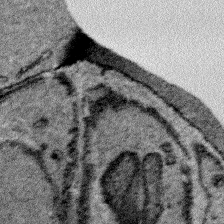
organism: Plasmodium falciparum